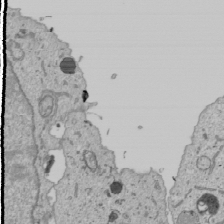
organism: Human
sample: Mitochondria in U2OS cells